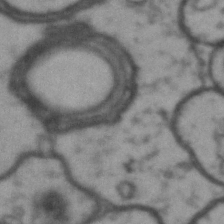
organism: Drosophila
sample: Brain